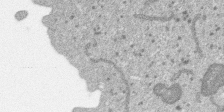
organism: Human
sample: Lung epithelial cells infected with SARS-CoV-2